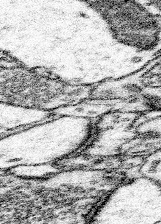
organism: Mouse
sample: Somatosensory cortex neuropil